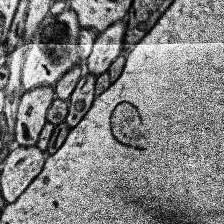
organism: Human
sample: Temporal Lobe